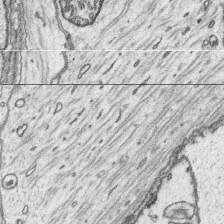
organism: Platynereis dumerilii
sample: Parapodia